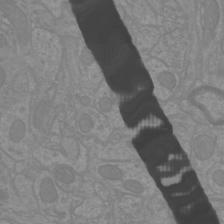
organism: Mouse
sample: Cortical neurons